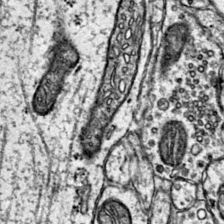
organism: Mouse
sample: Primary visual cortex